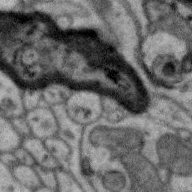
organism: Zebra finch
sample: Brain